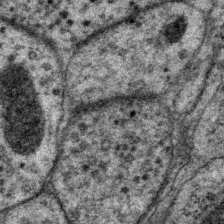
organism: P. pacificus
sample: Pharynx